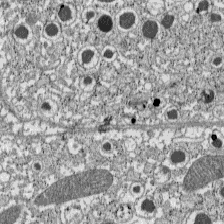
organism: C57BL Mouse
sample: Pancreatic islet